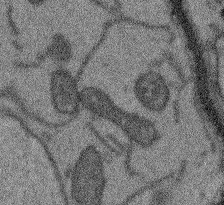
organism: Arabidopsis thaliana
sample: Root tip